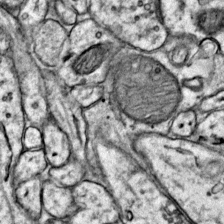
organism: Mouse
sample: Primary visual cortex